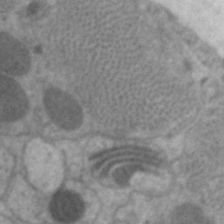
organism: C. elegans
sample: Pharynx